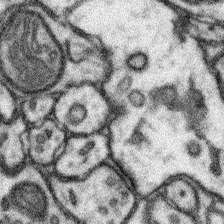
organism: Mouse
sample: Somatosensory cortex neuropil